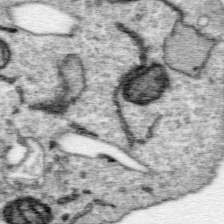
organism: Human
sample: HeLa cells